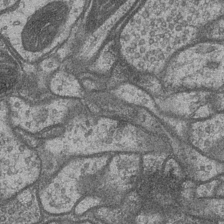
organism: Drosophila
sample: Optic medulla